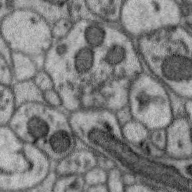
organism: Zebra finch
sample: Brain